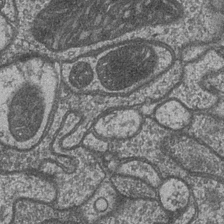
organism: Drosophila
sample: Optic medulla